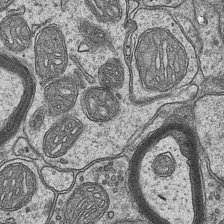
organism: Mouse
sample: CA1 Hippocampus